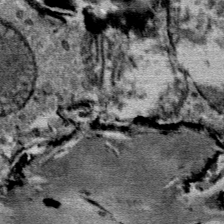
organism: Mouse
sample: Mouse Salivary gland